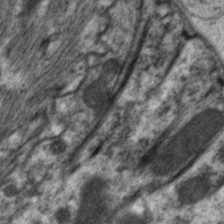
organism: C. elegans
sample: Pharynx